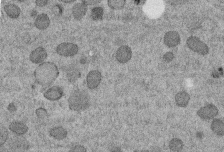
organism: C. elegans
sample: C. elegans embryo early stage